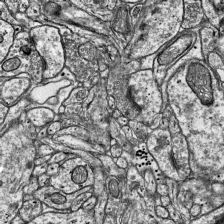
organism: Mouse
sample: Visual Cortex